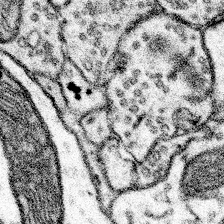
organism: Mouse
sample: Somatosensory cortex neuropil